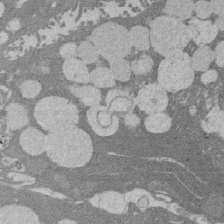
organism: Rat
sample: Salivary granule